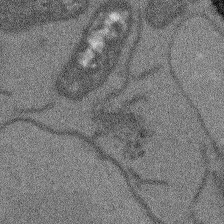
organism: Arabidopsis thaliana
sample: Root tip